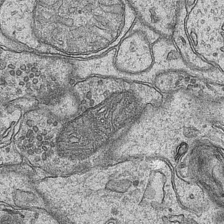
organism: Mouse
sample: CA1 Hippocampus